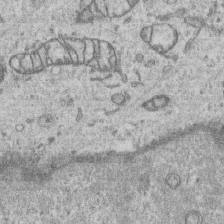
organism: Human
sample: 1205lu cells